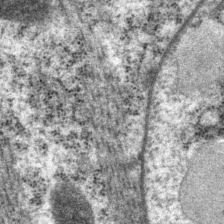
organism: P. pacificus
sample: Pharynx